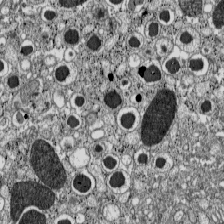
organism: C57BL Mouse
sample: Pancreatic islet